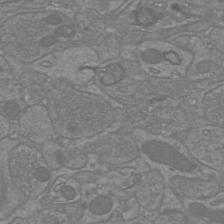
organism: Mouse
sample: Cortical neurons